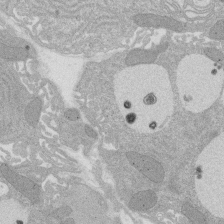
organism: Rat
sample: Salivary granule